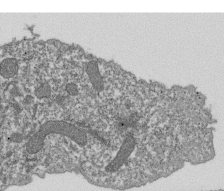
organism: Dictyostelium discoideum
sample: Dictyostelium multivesicular bodies